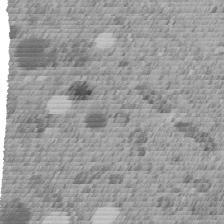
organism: C. elegans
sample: C. elegans embryo early stage